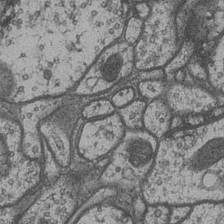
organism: Drosophila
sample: Optic medulla